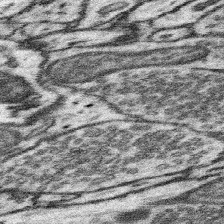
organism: Mouse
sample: Somatosensory cortex neuropil